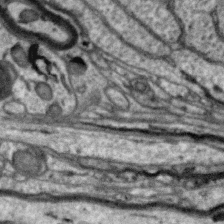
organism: Zebra finch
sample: Brain